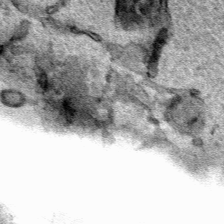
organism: Human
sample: Mitochondria in HCT116 cells